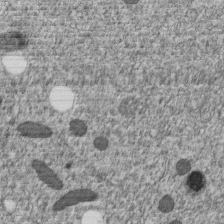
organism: C. elegans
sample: C. elegans embryo early stage